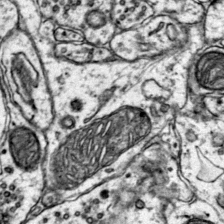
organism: Mouse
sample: Primary visual cortex